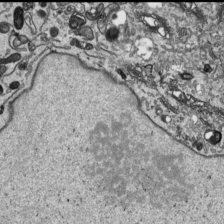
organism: Human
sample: Mitochondria in HCT116 cells